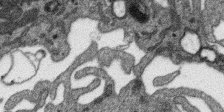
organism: Human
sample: Lung epithelial cells infected with SARS-CoV-2